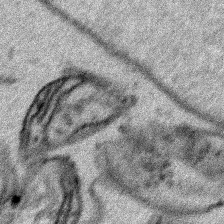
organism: Human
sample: Mitochondria in HCT116 cells